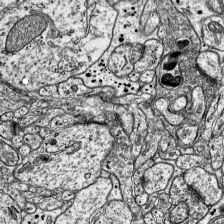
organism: Mouse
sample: Visual Cortex